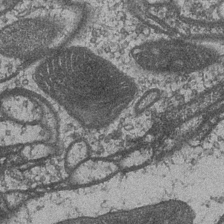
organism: Drosophila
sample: Optic medulla